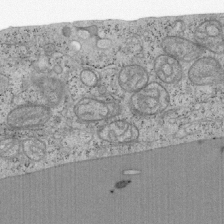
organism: Human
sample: HeLa cells